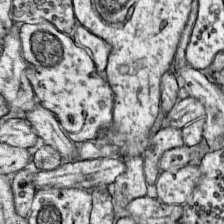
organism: Mouse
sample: Primary visual cortex